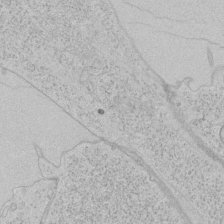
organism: Human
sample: Mitochondria in HCT116 cells